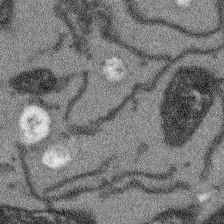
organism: Arabidopsis thaliana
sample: Root tip